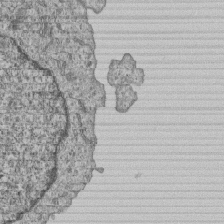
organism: Human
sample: MDA-MB-231 cells